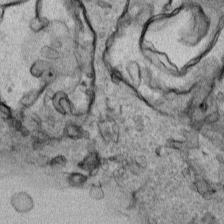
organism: Human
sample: Mitochondria in HCT116 cells